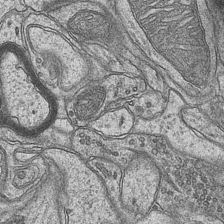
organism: Mouse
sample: CA1 Hippocampus